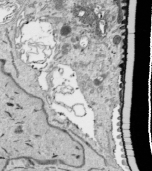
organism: Human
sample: Mitochondria in HCT116 cells